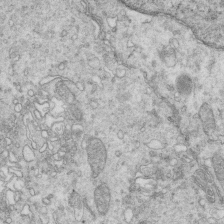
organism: Mouse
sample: Multiciliated cells